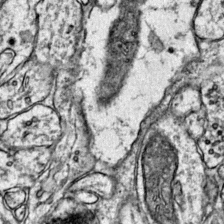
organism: Mouse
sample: Primary visual cortex